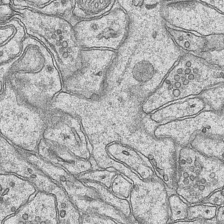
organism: Mouse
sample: CA1 Hippocampus